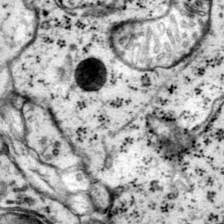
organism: Mouse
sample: Primary visual cortex